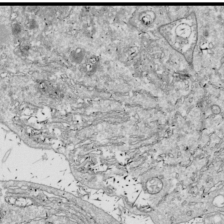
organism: Drosophila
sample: Cell division; meiosis; drosophila spermatocytes